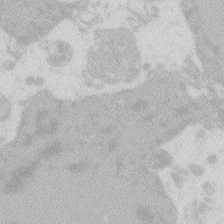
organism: Zebrafish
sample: Macrophage